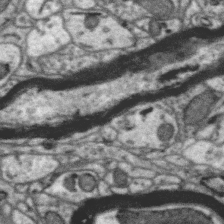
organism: Zebra finch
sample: Brain